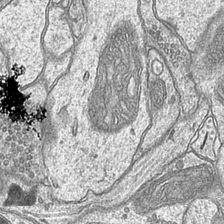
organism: Mouse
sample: CA1 Hippocampus